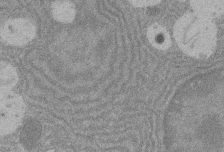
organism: Rat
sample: Salivary granule